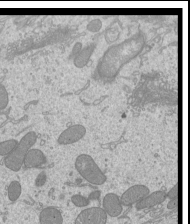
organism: Mouse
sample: Cilia; mouse epididymis